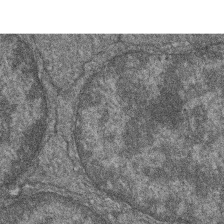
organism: Zebrafish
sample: Cilia; retinal pigment epithelium